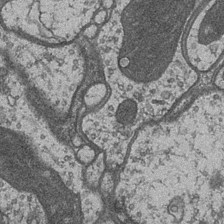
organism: Drosophila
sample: Optic medulla